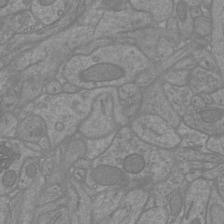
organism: Mouse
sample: Cortical neurons